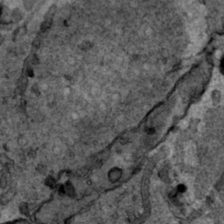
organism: Human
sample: Mitochondria in HCT116 cells